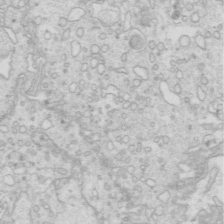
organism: Mouse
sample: Multiciliated cells